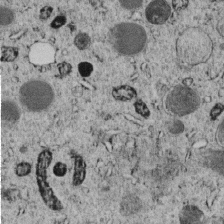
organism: C. elegans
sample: C. elegans embryo early stage